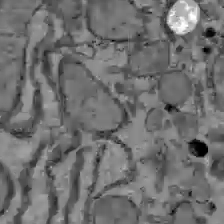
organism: C57BL Mouse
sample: Liver